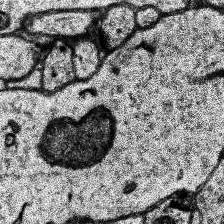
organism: Human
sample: Temporal Lobe